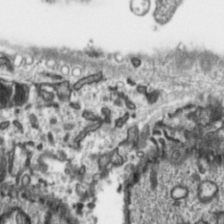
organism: Toxoplasma gondii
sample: Parasites in a vacuole inside a host cell